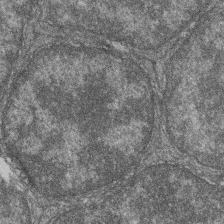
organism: Zebrafish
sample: Cilia; retinal pigment epithelium